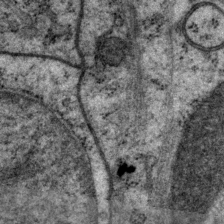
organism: P. pacificus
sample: Pharynx